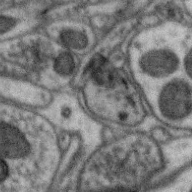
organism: Zebra finch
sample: Brain